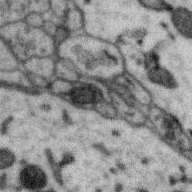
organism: Zebra finch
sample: Brain